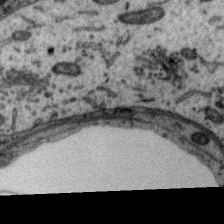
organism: Zebra finch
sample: Brain